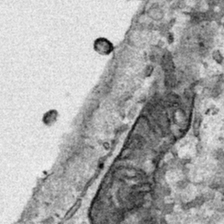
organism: Human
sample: Mitochondria in HCT116 cells